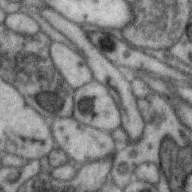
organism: Zebra finch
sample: Brain